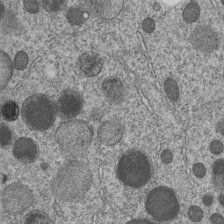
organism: C. elegans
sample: C. elegans embryo early stage